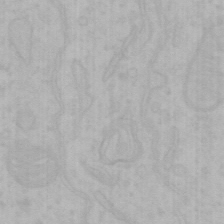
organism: Mouse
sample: Choroid plexus